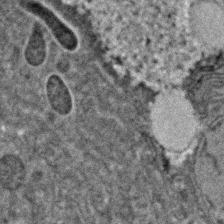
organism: C. elegans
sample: C. elegans embryo